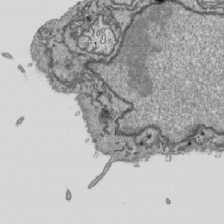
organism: Human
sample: Mitochondria in HCT116 cells